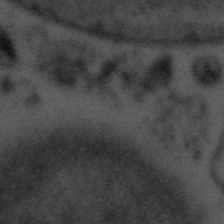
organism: Tuwongella immobilis